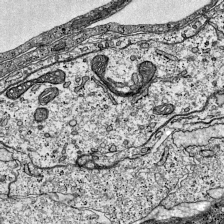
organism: Mouse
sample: Visual Cortex